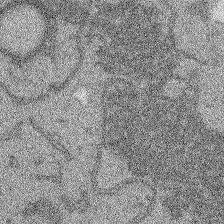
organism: Human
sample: HeLa cells